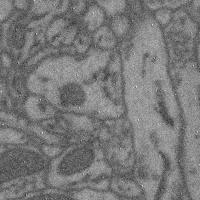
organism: Mouse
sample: Cerebral cortex